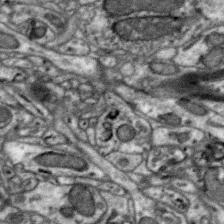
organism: Zebra finch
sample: Brain